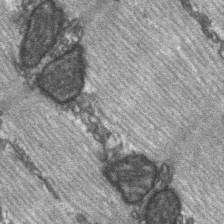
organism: C57BL Mouse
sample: Soleus